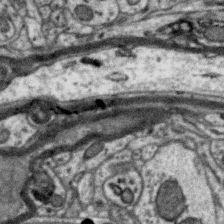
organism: Zebra finch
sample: Brain